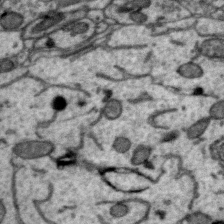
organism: Zebra finch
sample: Brain